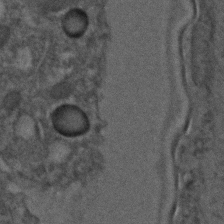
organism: C. elegans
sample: C. elegans embryo